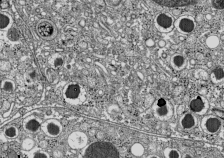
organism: C57BL Mouse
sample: Pancreatic islet